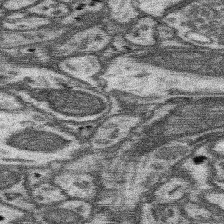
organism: Mouse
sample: Somatosensory cortex neuropil